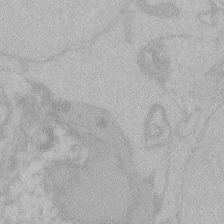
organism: Zebrafish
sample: Macrophage infected with Toxoplasma gondii